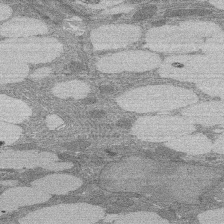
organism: Rat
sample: Salivary granule